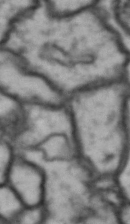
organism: Drosophila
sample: Brain